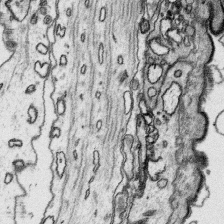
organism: Platynereis dumerilii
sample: Parapodia